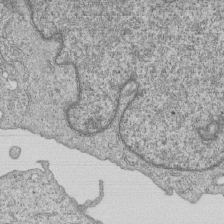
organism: Human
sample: MDA-MB-231 cells